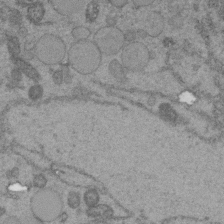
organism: C. elegans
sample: C. elegans embryo early stage